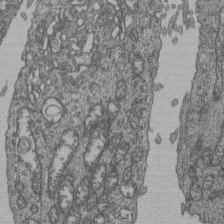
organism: Human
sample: Retinal organoid Rod and Cone cells